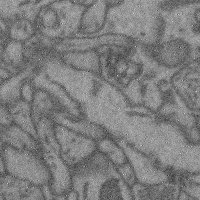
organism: Mouse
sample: Cerebral cortex